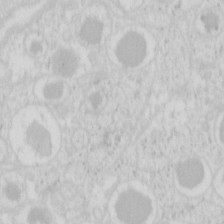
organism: Mouse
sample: Pancreas